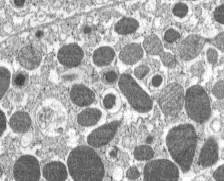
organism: C57BL Mouse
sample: Pancreatic islet